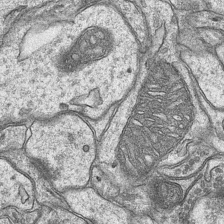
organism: Mouse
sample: CA1 Hippocampus